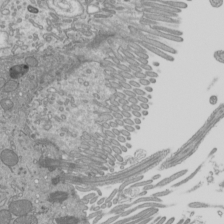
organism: Mouse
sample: Cilia; mouse epididymis